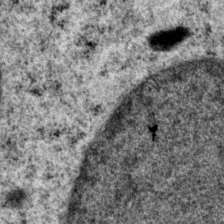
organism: P. pacificus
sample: Pharynx